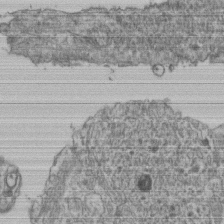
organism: Human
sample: Retinal organoid Rod and Cone cells